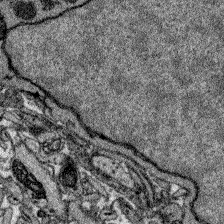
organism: Zebrafish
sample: Larval olfactory bulb